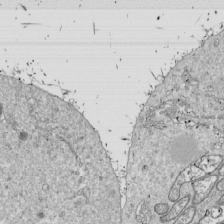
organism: Drosophila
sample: Cell division; meiosis; drosophila spermatocytes